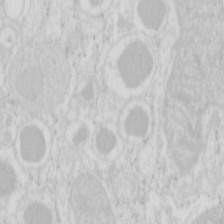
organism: Mouse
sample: Pancreas